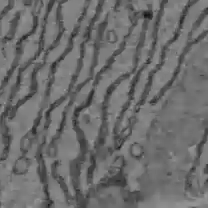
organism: C57BL Mouse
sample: Liver